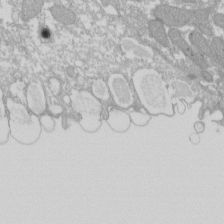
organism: Xenopus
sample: Cilia; centrioles in frog embryo cells